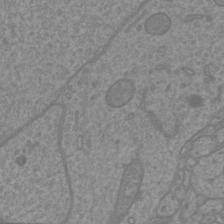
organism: Mouse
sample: Cortical neurons